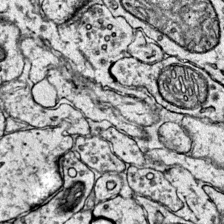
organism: Mouse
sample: Primary visual cortex